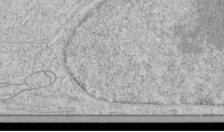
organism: Human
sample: Mitochondria in HCT116 cells